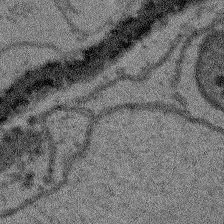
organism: Arabidopsis thaliana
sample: Root tip